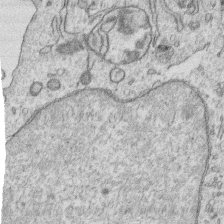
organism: Human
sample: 1205lu cells